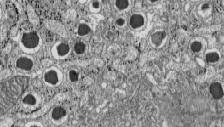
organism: C57BL Mouse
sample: Pancreatic islet